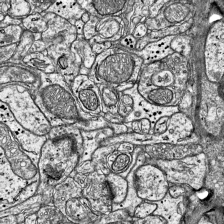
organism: Mouse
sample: Visual Cortex